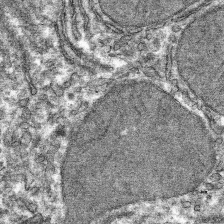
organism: Mouse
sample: Mouse hepatocytes